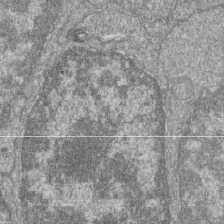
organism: Zebrafish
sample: Cilia; retinal pigment epithelium